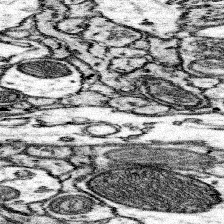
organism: Mouse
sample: Somatosensory cortex neuropil